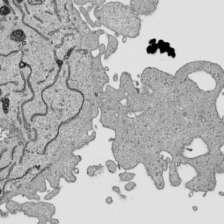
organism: Human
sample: Mitochondria in HCT116 cells